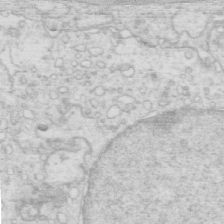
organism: Mouse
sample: Multiciliated cells